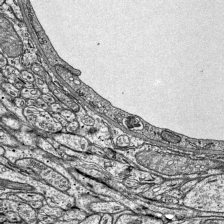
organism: Mouse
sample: Visual Cortex